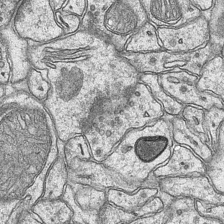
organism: Mouse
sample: CA1 Hippocampus